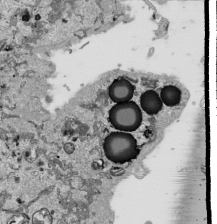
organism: Human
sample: Mitochondria in HCT116 cells